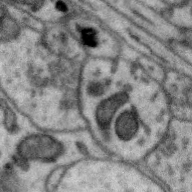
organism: Zebra finch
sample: Brain